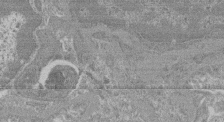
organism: Mouse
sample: Glomerulus